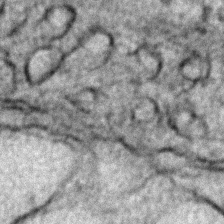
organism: Zebrafish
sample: Zebrafish embryo